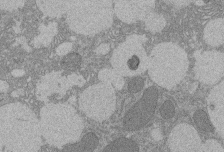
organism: Rat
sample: Salivary granule